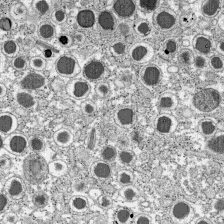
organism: C57BL Mouse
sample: Pancreatic islet